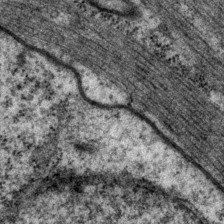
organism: P. pacificus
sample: Pharynx